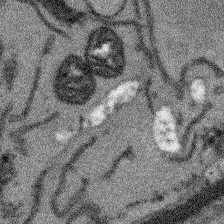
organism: Arabidopsis thaliana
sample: Root tip